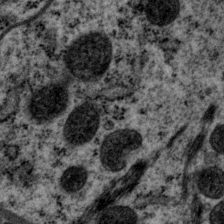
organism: P. pacificus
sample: Pharynx